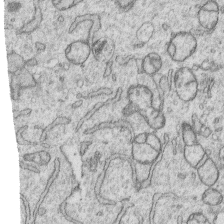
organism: Human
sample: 1205lu cells